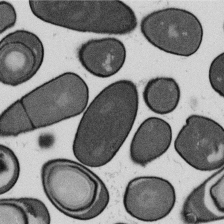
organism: B. subtilis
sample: Bacterial spore